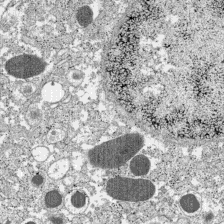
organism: C57BL Mouse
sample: Pancreatic islet